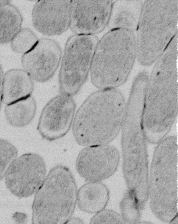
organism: E. coli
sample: Bacterial nucleoid